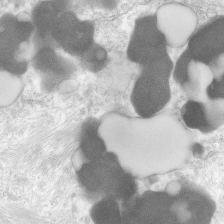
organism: Human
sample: Neocortex